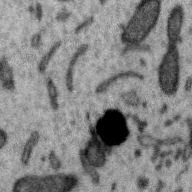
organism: Zebra finch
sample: Brain